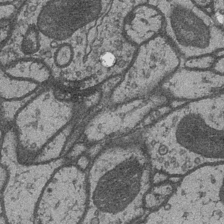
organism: Drosophila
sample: Optic medulla